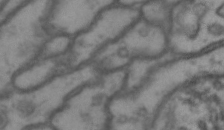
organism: Drosophila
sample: Brain